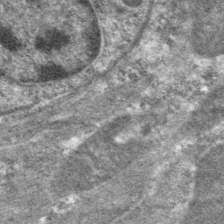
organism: C. elegans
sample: Pharynx